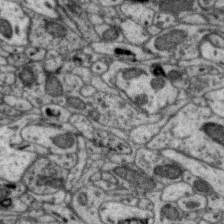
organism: Zebra finch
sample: Brain